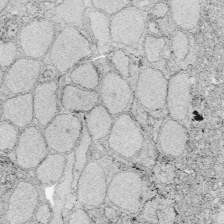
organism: Zebrafish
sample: Whole-Brain